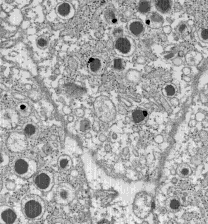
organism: C57BL Mouse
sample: Pancreatic islet